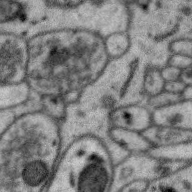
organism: Zebra finch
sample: Brain